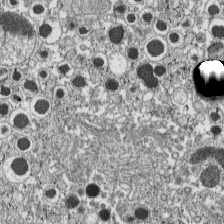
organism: C57BL Mouse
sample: Pancreatic islet